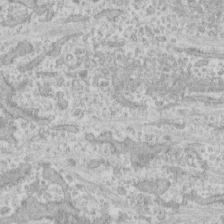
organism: Human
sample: CRL-1474